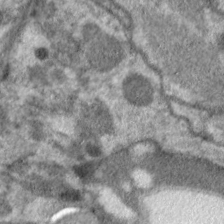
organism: C. elegans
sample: Pharynx